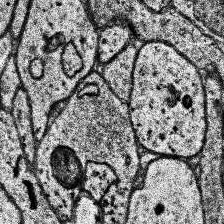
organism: Human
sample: Temporal Lobe